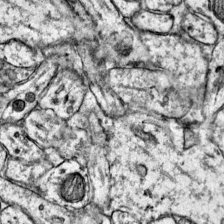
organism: Mouse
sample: Primary visual cortex